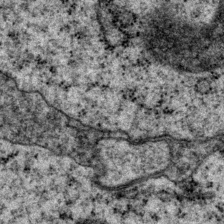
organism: P. pacificus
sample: Pharynx